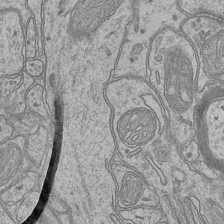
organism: Mouse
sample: CA1 Hippocampus